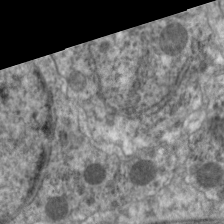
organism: C. elegans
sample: Pharynx